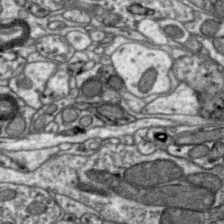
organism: Zebra finch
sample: Brain